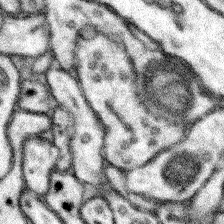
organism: Mouse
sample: Somatosensory cortex neuropil